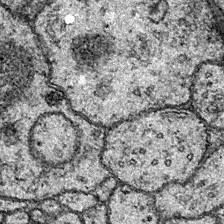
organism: Drosophila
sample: Ventral Nerve Cord